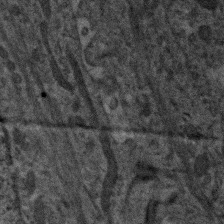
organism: Human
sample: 1205lu cells